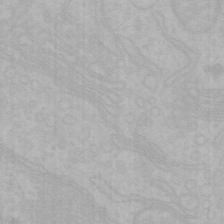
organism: Mouse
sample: Choroid plexus